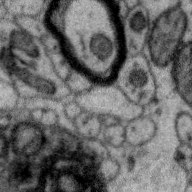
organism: Zebra finch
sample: Brain